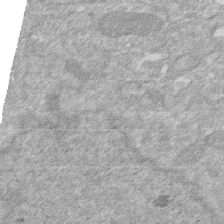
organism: Human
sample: HIV infected U937 cells